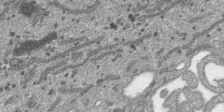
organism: Human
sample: Lung epithelial cells infected with SARS-CoV-2